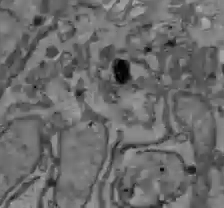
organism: C57BL Mouse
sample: Liver